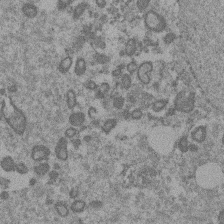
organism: Mouse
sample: Dividing mouse embryo 1 cell stage